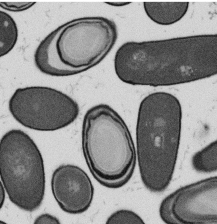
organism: B. subtilis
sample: Bacterial spore